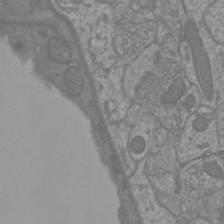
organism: Mouse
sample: Cortical neurons